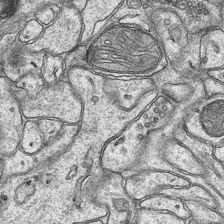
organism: Mouse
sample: CA1 Hippocampus